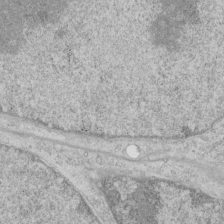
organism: Human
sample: Mitochondria in HCT116 cells